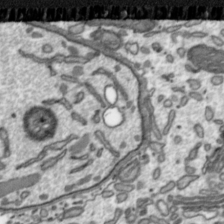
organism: Toxoplasma gondii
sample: Parasites in a vacuole inside a host cell